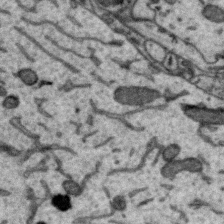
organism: Zebra finch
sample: Brain